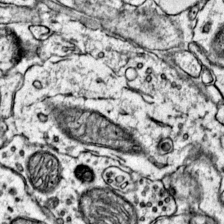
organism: Mouse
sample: Primary visual cortex